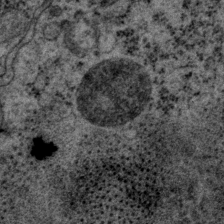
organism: P. pacificus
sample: Pharynx